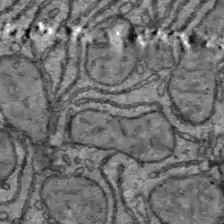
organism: C57BL Mouse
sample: Liver